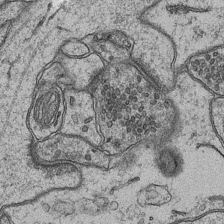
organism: Mouse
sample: CA1 Hippocampus